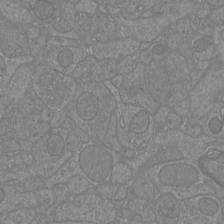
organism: Mouse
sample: Cortical neurons